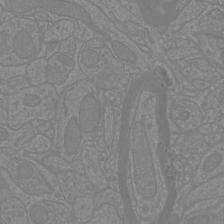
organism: Mouse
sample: Cortical neurons